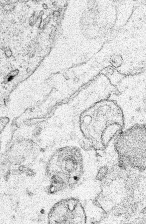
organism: Human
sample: Mitochondria in HCT116 cells